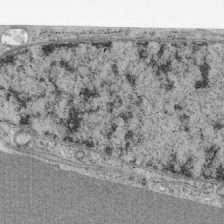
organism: Human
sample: HeLa cells